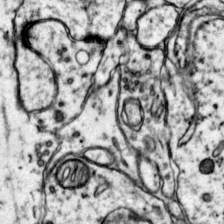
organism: Mouse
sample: Primary visual cortex